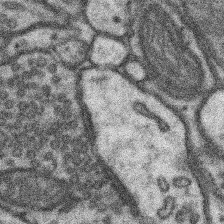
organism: Mouse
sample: Somatosensory cortex neuropil